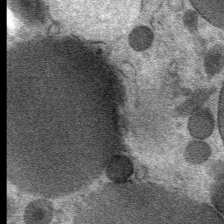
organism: Mouse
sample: Mouse Salivary gland